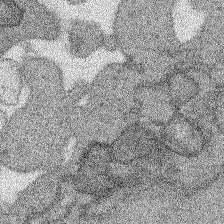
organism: Human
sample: HeLa cells